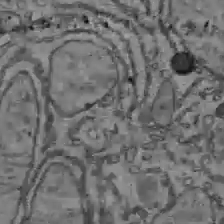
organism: C57BL Mouse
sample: Liver